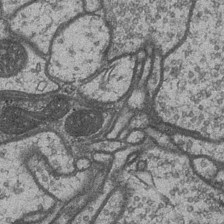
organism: Drosophila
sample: Optic medulla